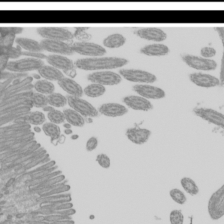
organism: Mouse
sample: Cilia; mouse epididymis